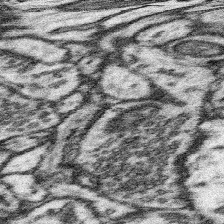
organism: Mouse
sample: Somatosensory cortex neuropil